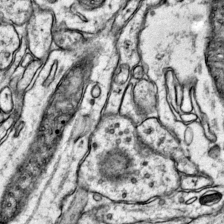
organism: Mouse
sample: Primary visual cortex